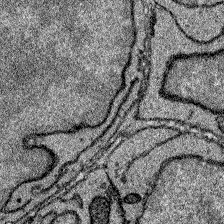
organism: Zebrafish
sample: Larval olfactory bulb